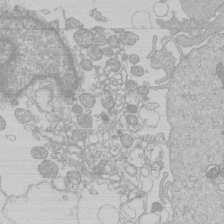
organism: Human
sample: Macrophage cells